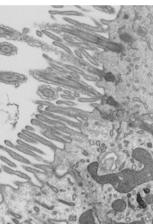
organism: Mouse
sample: Mouse epididymis efferent ductule cilia